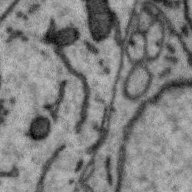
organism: Zebra finch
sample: Brain